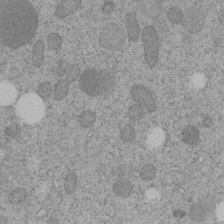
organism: C. elegans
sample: C. elegans embryo early stage